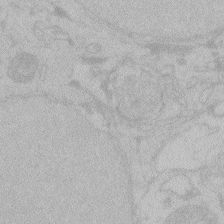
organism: Zebrafish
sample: Macrophage infected with Toxoplasma gondii